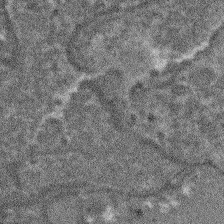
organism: Arabidopsis thaliana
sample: Root tip